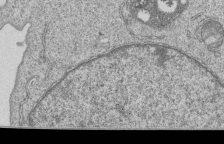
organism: Human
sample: MDA-MB-231 cells